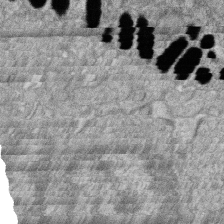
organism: Zebrafish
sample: Cilia; retinal pigment epithelium